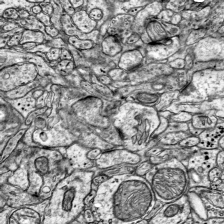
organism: Mouse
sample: Visual Cortex